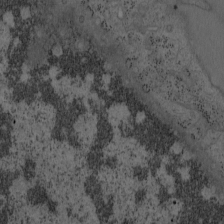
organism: Mouse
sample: OT-I killer T cells with ID8 ovarian cancer cells